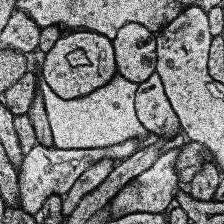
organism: Human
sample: Temporal Lobe